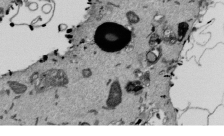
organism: Mouse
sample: ED-1 cell nuclei; centrioles